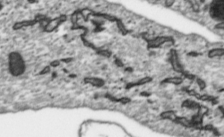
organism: Toxoplasma gondii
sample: Parasites in a vacuole inside a host cell